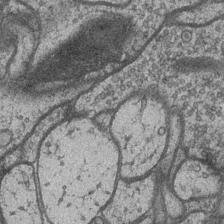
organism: Drosophila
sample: Optic medulla